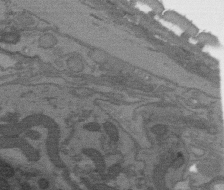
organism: C. elegans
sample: AFD neurons C. elegans